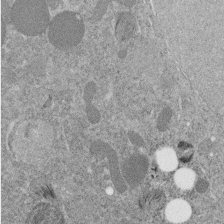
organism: C. elegans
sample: C. elegans embryo early stage